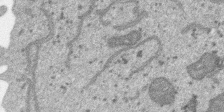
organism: Human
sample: Lung epithelial cells infected with SARS-CoV-2